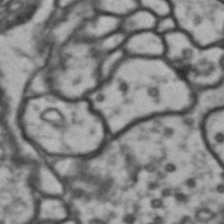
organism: Drosophila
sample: Brain